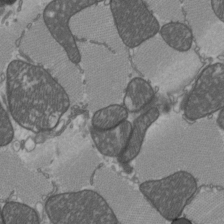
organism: C57BL Mouse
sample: Heart